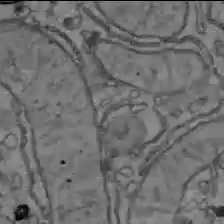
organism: C57BL Mouse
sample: Liver